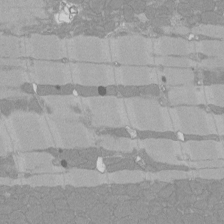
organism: Rat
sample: Left ventricle